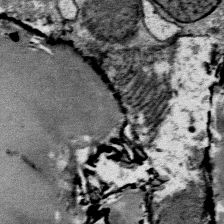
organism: Mouse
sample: Mouse Salivary gland